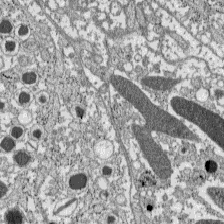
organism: C57BL Mouse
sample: Pancreatic islet